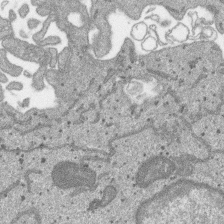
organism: Human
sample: Lung epithelial cells infected with SARS-CoV-2